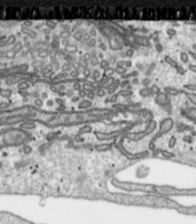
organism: Toxoplasma gondii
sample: Parasites in a vacuole inside a host cell